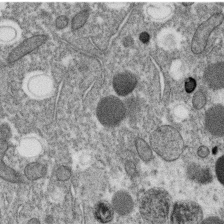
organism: C. elegans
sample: C. elegans oocyte; sperm cells